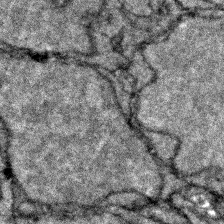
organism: Zebrafish